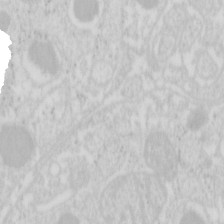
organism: Mouse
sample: Pancreas